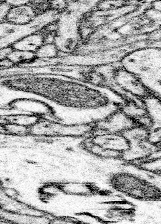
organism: Mouse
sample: Somatosensory cortex neuropil